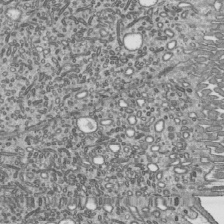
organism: Mouse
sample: Mouse epididymis efferent ductule cilia